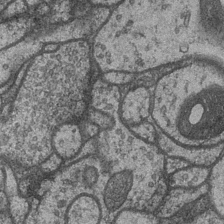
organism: Drosophila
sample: Optic medulla